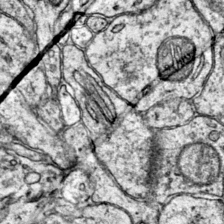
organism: Mouse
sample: Primary visual cortex